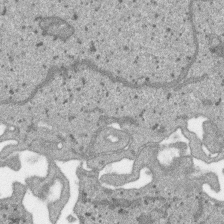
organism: Human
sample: Lung epithelial cells infected with SARS-CoV-2